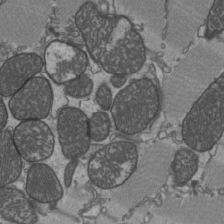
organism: C57BL Mouse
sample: Heart